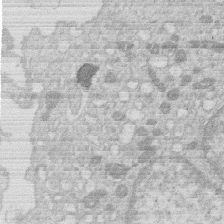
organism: Human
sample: Macrophage cells